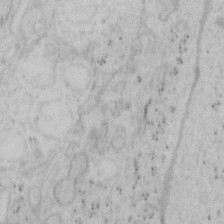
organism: Human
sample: HeLa cells